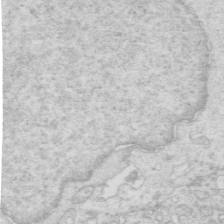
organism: Mouse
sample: Multiciliated cells